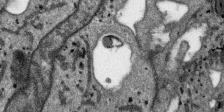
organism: Human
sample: Lung epithelial cells, uninfected (mock) control